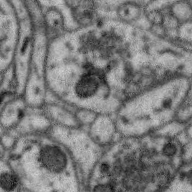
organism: Zebra finch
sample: Brain